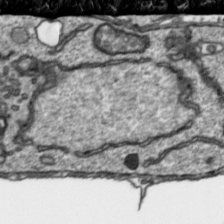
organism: Toxoplasma gondii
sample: Parasites in a vacuole inside a host cell